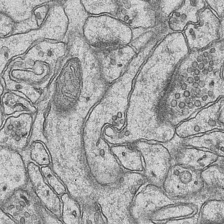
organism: Mouse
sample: CA1 Hippocampus